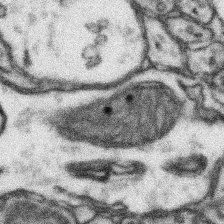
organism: Mouse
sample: Somatosensory cortex neuropil